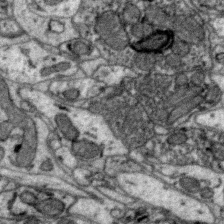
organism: Zebra finch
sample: Brain